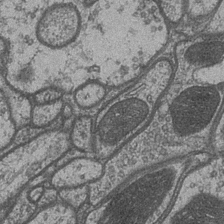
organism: Drosophila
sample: Optic medulla